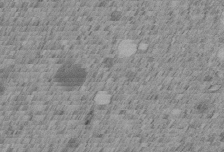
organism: C. elegans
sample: C. elegans embryo early stage